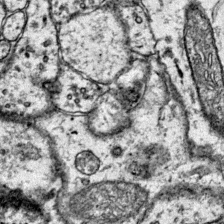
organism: Mouse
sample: Primary visual cortex